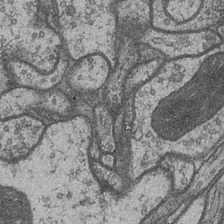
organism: Drosophila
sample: Optic medulla